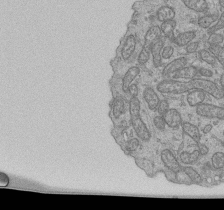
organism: Human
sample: Retinal organoid Rod and Cone cells